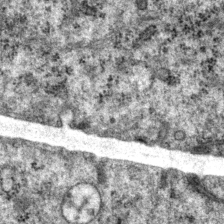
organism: P. pacificus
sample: Pharynx